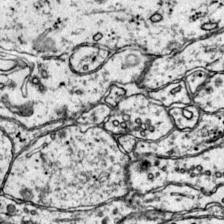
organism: Mouse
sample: Primary visual cortex